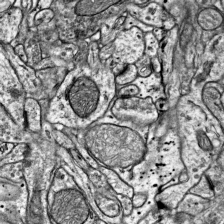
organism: Mouse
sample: Visual Cortex